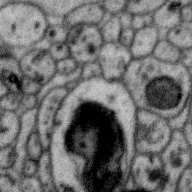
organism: Zebra finch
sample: Brain